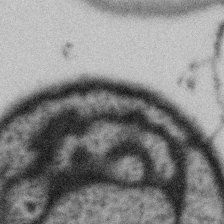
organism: Gemmata obscuriglobus